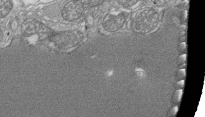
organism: Tetrahymena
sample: Cilia in tetrahymena